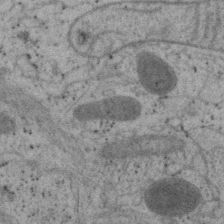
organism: Human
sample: HeLa cells